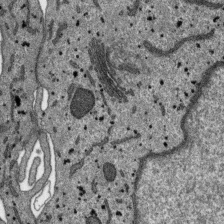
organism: Human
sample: Lung epithelial cells, uninfected (mock) control